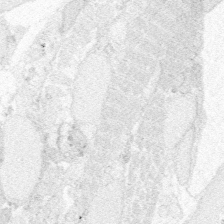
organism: Zebrafish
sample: Whole-Brain